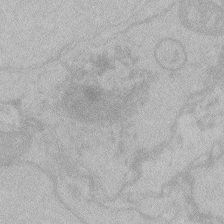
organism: Zebrafish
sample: Macrophage infected with Toxoplasma gondii